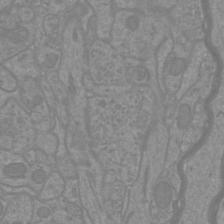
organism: Mouse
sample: Cortical neurons